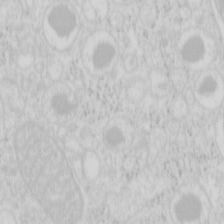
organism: Mouse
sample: Pancreas